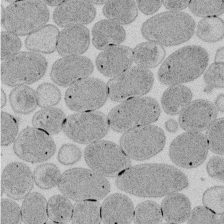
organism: E. coli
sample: Bacterial nucleoid